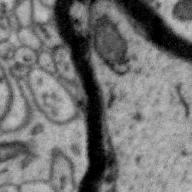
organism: Zebra finch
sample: Brain